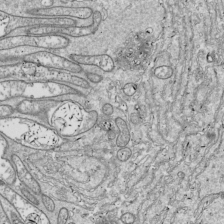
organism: Drosophila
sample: Cell division; meiosis; drosophila spermatocytes